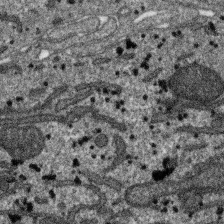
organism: Human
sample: Lung epithelial cells infected with SARS-CoV-2